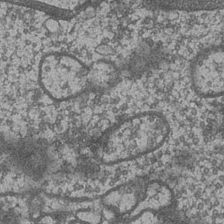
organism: Drosophila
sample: Optic medulla